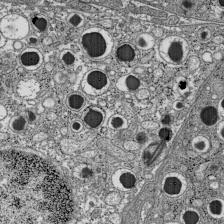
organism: C57BL Mouse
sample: Pancreatic islet